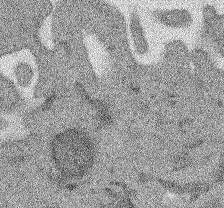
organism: Human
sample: HeLa cells